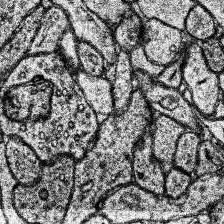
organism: Human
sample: Temporal Lobe